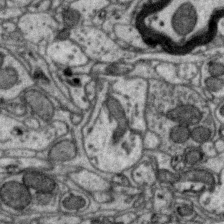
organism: Zebra finch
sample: Brain